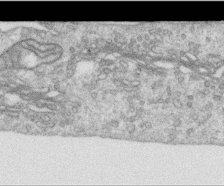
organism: Human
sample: Centriole in RPE cells